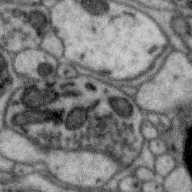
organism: Zebra finch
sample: Brain